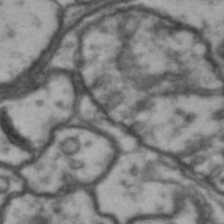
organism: Drosophila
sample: Brain